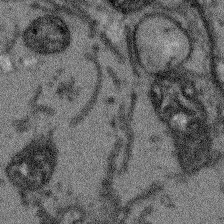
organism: Arabidopsis thaliana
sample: Root tip